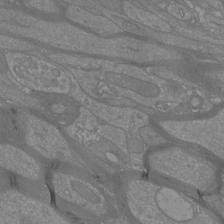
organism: Mouse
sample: Cortical neurons